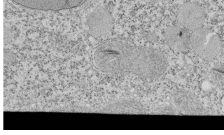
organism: Tetrahymena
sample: Cilia in tetrahymena